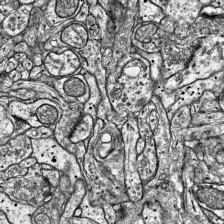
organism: Mouse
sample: Visual Cortex